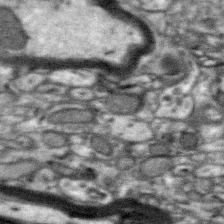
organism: Zebra finch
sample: Brain